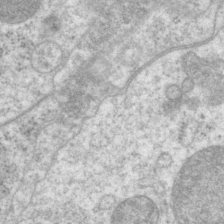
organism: P. pacificus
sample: Pharynx